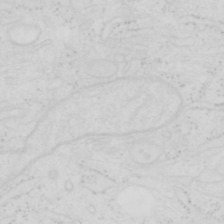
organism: Human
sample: SUM-159 cell